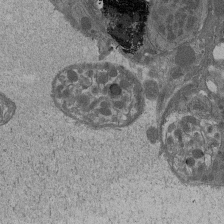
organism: Drosophila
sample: Antenna